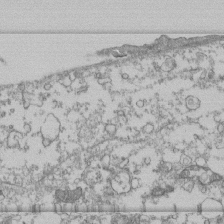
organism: Human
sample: Fibroblast cells